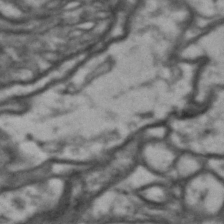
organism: Drosophila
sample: Brain